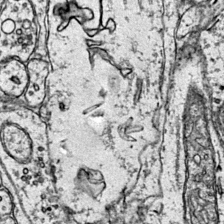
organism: Mouse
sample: Primary visual cortex